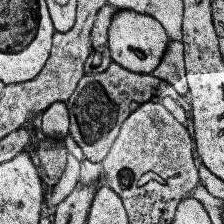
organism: Human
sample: Temporal Lobe